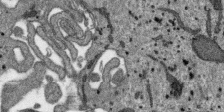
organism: Human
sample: Lung epithelial cells, uninfected (mock) control